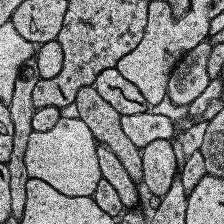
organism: Human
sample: Temporal Lobe